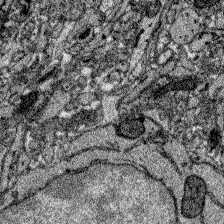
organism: Zebrafish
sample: Larval olfactory bulb